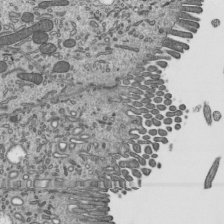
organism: Mouse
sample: Mouse epididymis efferent ductule cilia